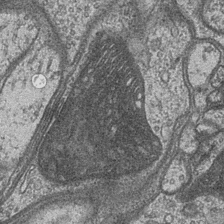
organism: Drosophila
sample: Optic medulla